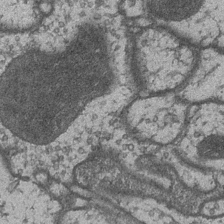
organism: Drosophila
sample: Optic medulla